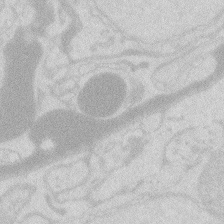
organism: Zebrafish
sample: Macrophage